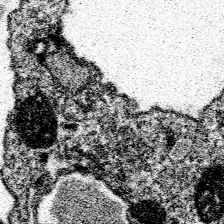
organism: Spongilla lacustris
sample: Neuroid cell